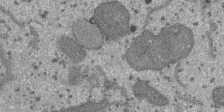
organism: Human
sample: Lung epithelial cells infected with SARS-CoV-2